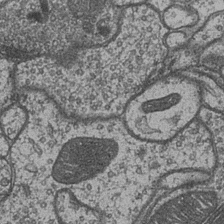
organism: Drosophila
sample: Optic medulla